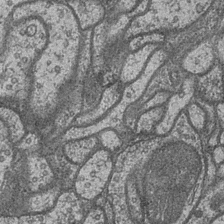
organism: Drosophila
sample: Optic medulla